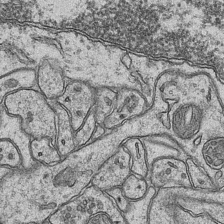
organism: Mouse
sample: CA1 Hippocampus